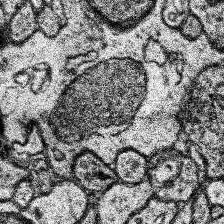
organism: Human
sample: Temporal Lobe